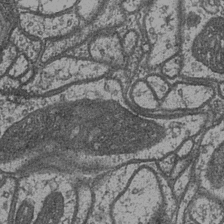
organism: Drosophila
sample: Optic medulla